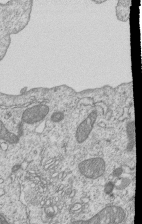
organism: Human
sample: MDA-MB-231 cells